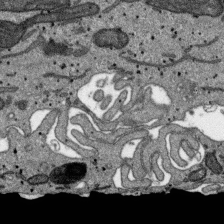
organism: Human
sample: Lung epithelial cells, uninfected (mock) control